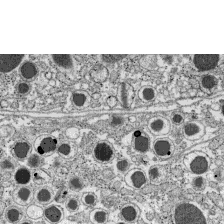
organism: C57BL Mouse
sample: Pancreatic islet